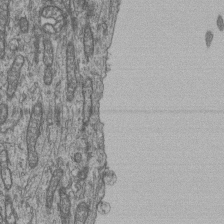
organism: Human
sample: Retinal organoid Rod and Cone cells